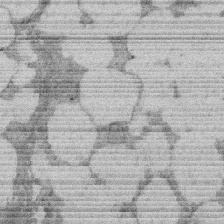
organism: Rat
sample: Salivary granule